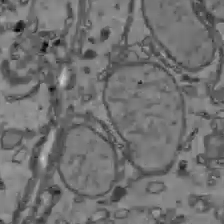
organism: C57BL Mouse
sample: Liver